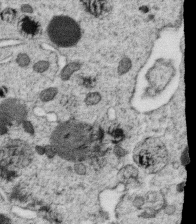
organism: C. elegans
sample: C. elegans oocyte; sperm cells